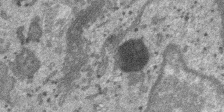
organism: Human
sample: Lung epithelial cells infected with SARS-CoV-2